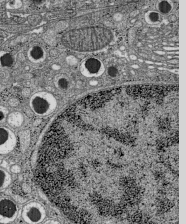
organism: C57BL Mouse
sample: Pancreatic islet